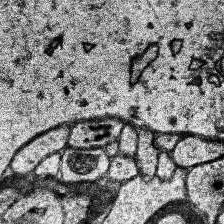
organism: Human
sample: Temporal Lobe